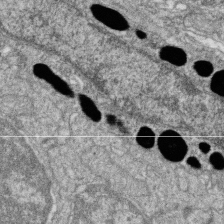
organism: Zebrafish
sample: Cilia; retinal pigment epithelium